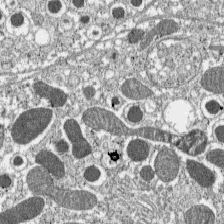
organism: C57BL Mouse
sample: Pancreatic islet